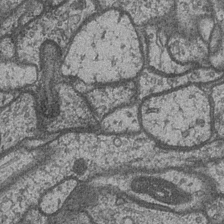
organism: Drosophila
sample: Optic medulla